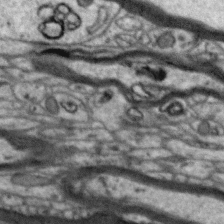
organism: Zebra finch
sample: Brain